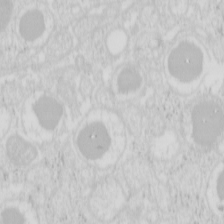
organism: Mouse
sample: Pancreas